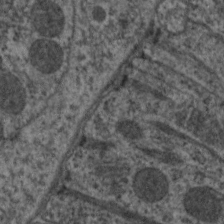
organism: C. elegans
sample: Pharynx